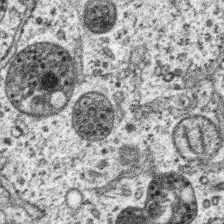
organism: Human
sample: HeLa cells